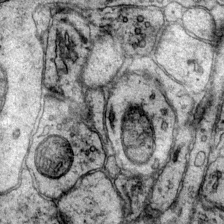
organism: Mouse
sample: Primary visual cortex